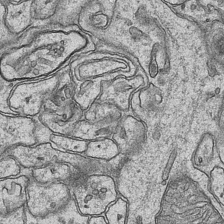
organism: Mouse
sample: CA1 Hippocampus